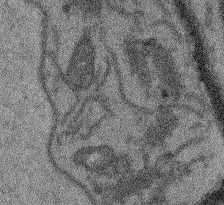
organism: Arabidopsis thaliana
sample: Root tip